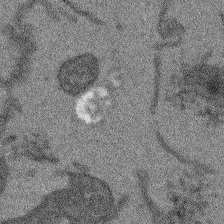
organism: Arabidopsis thaliana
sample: Root tip